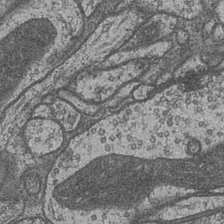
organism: Drosophila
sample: Optic medulla